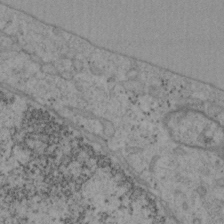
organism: Human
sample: HeLa cells